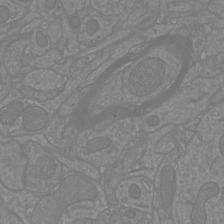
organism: Mouse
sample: Cortical neurons